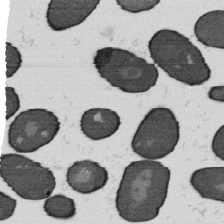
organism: B. subtilis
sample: Bacterial spore